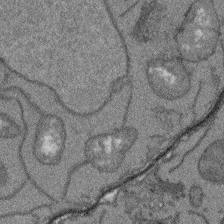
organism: Arabidopsis thaliana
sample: Root tip